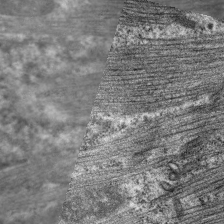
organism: C. elegans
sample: Pharynx